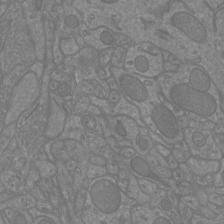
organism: Mouse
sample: Cortical neurons